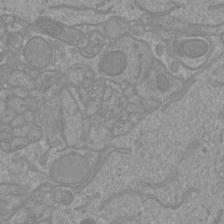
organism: Mouse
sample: Cortical neurons